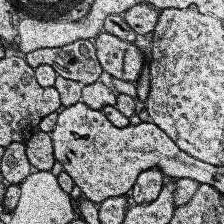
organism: Human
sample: Temporal Lobe